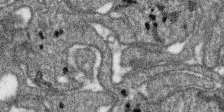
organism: Human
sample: Lung epithelial cells infected with SARS-CoV-2